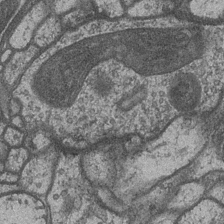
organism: Drosophila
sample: Optic medulla